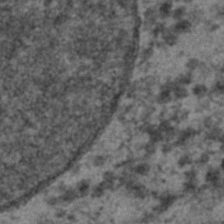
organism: C. elegans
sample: C. elegans embryo